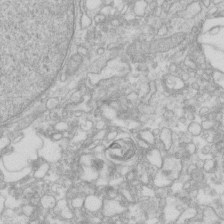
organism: Human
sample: Fibroblast cells